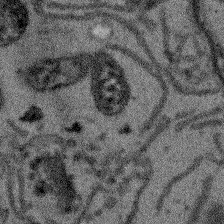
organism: Arabidopsis thaliana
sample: Root tip